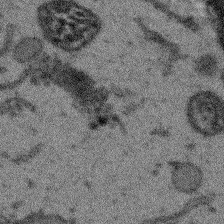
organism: Arabidopsis thaliana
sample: Root tip